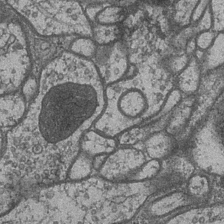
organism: Drosophila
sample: Optic medulla